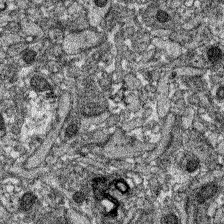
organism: Zebrafish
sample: Larval olfactory bulb